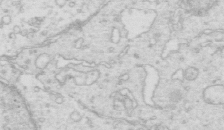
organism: Mouse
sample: Multiciliated cells